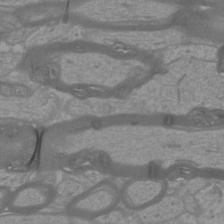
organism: Mouse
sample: Cortical neurons